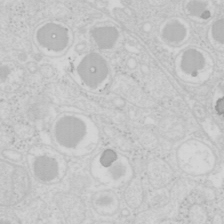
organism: Mouse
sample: Pancreas